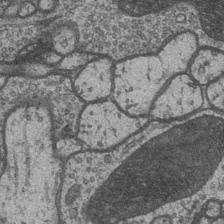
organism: Drosophila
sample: Optic medulla